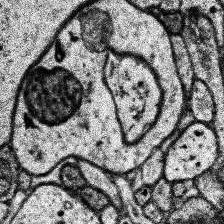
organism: Human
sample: Temporal Lobe